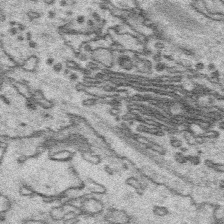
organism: Platynereis dumerilii